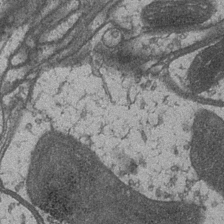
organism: Drosophila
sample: Optic medulla